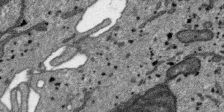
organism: Human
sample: Lung epithelial cells, uninfected (mock) control